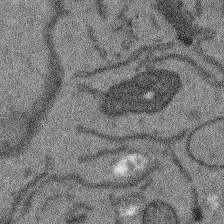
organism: Arabidopsis thaliana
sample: Root tip